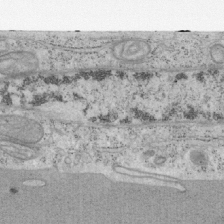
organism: Human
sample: HeLa cells